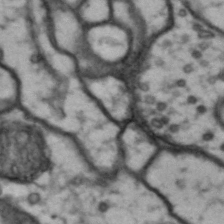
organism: Drosophila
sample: Brain